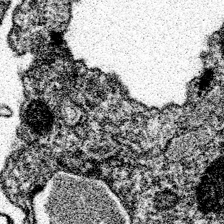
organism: Spongilla lacustris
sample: Neuroid cell